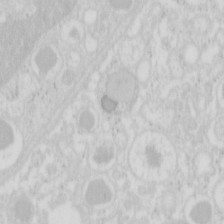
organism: Mouse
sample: Pancreas